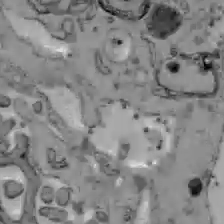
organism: C57BL Mouse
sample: Liver